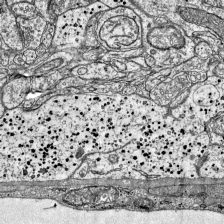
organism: Mouse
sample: Visual Cortex